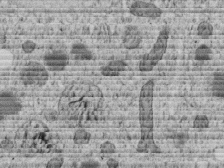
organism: C. elegans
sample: C. elegans embryo early stage